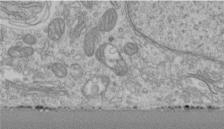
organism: Human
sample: Centriole in RPE cells